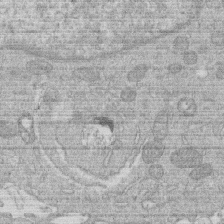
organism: Human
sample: Macrophage cells